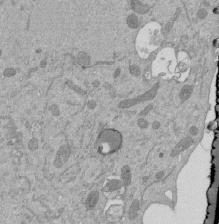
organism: Mouse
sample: ED-1 cell nuclei; centrioles